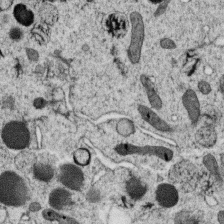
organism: C. elegans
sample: C. elegans oocyte; sperm cells